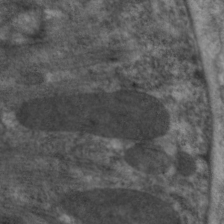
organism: C. elegans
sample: Pharynx